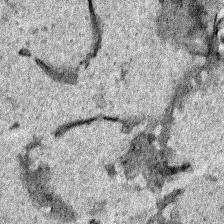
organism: Human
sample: Mitochondria in HCT116 cells